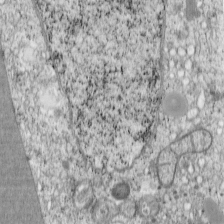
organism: African green monkey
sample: COS-7 cells